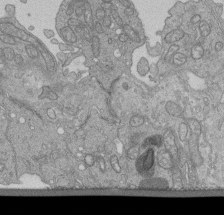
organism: Human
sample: Retinal organoid Rod and Cone cells